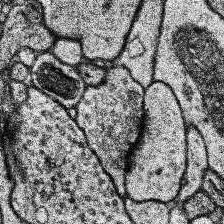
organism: Human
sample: Temporal Lobe